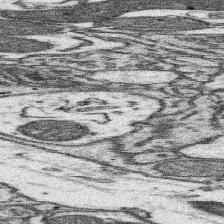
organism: Mouse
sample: Somatosensory cortex neuropil